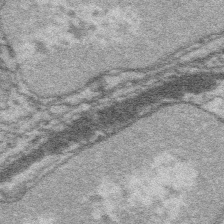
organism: Platynereis dumerilii